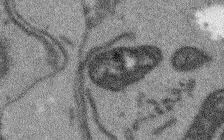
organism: Arabidopsis thaliana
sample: Root tip